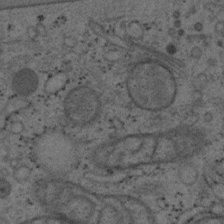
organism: Human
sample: HeLa cells